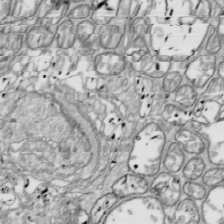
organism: Drosophila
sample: Cell division; meiosis; drosophila spermatocytes